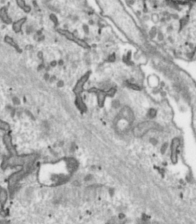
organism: Toxoplasma gondii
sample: Parasites in a vacuole inside a host cell